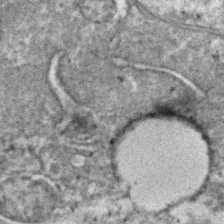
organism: C. elegans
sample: C. elegans embryo